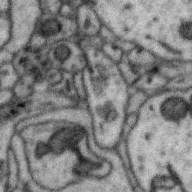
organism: Zebra finch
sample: Brain